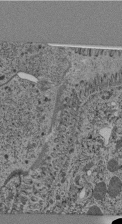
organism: C. elegans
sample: C. elegans pharynx